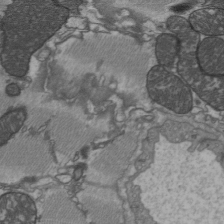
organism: C57BL Mouse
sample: Heart